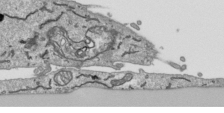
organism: Human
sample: Mitochondria in HCT116 cells